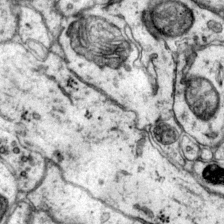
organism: Mouse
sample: Primary visual cortex